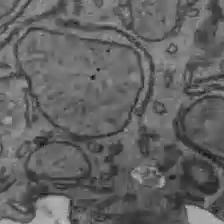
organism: C57BL Mouse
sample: Liver